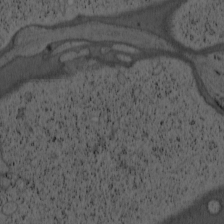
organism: African green monkey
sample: COS-7 cells